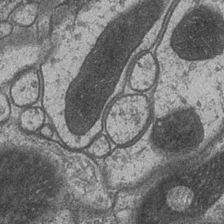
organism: Drosophila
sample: Optic medulla